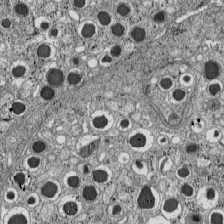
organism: C57BL Mouse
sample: Pancreatic islet